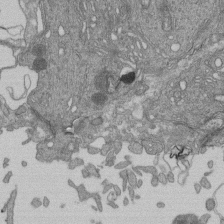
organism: Human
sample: Retinal organoid Rod and Cone cells